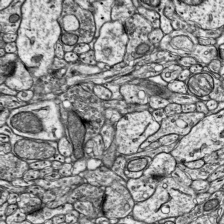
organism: Mouse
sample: Visual Cortex